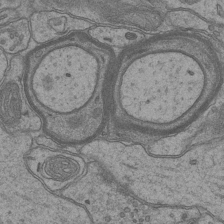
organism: Mouse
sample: CA1 Hippocampus